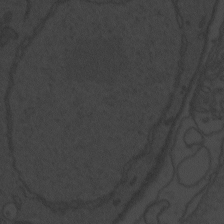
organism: Zebrafish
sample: Macrophage infected with Toxoplasma gondii